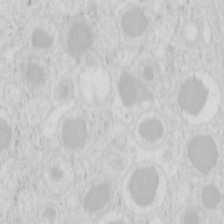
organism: Mouse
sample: Pancreas